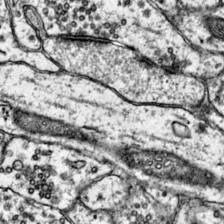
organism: Mouse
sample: Primary visual cortex